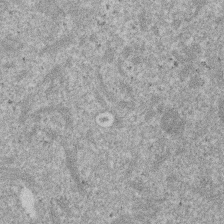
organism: Mouse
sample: Dividing mouse embryo 1 cell stage